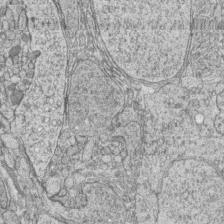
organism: Zebrafish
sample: synaptic ribbons in rod cells and cone cells